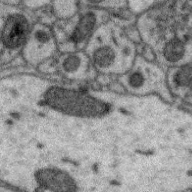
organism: Zebra finch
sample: Brain